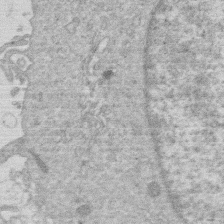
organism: Human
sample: Macrophage cells